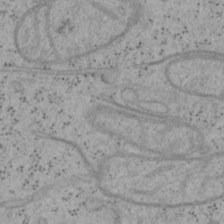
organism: Human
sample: HeLa cells